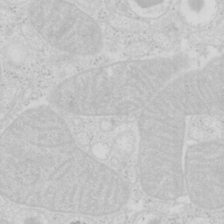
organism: Mouse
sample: Pancreas